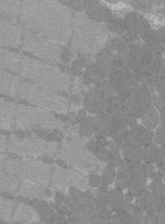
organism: C57BL Mouse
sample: Tibialis anterior muscle cell